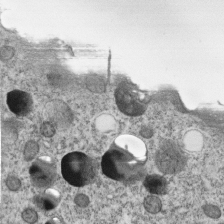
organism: C. elegans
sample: C. elegans embryo early stage